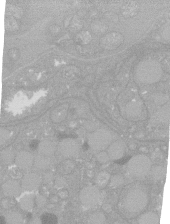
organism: C. elegans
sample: C. elegans oocyte; sperm cells